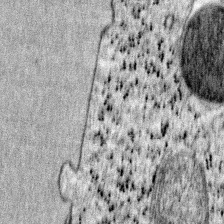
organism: Human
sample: HeLa cells